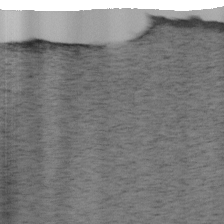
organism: Mouse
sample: OT-I killer T cells with ID8 ovarian cancer cells